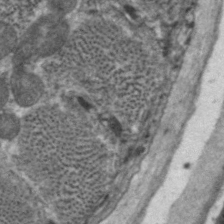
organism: C. elegans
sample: Pharynx